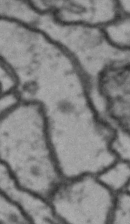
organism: Drosophila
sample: Brain